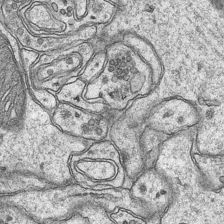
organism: Mouse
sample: CA1 Hippocampus